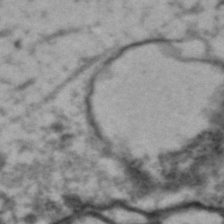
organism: Drosophila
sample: Brain